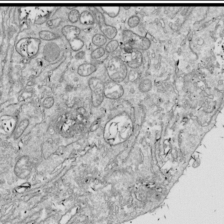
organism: Drosophila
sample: Cell division; meiosis; drosophila spermatocytes